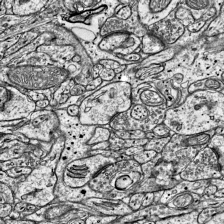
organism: Mouse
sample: Visual Cortex